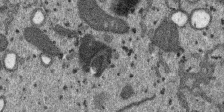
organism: Human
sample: Lung epithelial cells infected with SARS-CoV-2